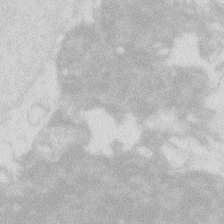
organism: Zebrafish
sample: Macrophage